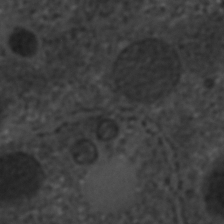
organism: C. elegans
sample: C. elegans embryo